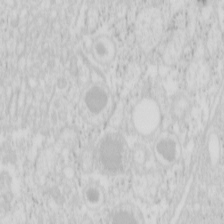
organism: Mouse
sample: Pancreas